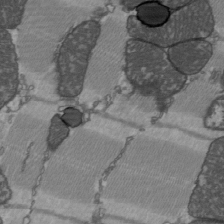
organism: C57BL Mouse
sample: Heart